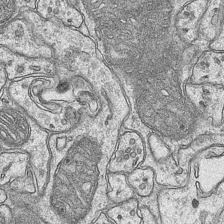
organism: Mouse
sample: CA1 Hippocampus